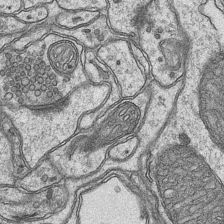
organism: Mouse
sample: CA1 Hippocampus